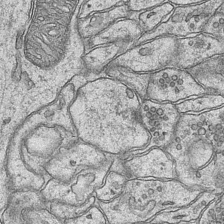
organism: Mouse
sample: CA1 Hippocampus